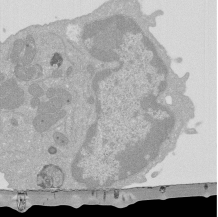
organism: Mouse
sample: Activated Pmel transgenic CD8+ T Cells